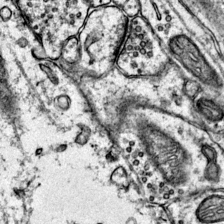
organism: Mouse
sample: Primary visual cortex